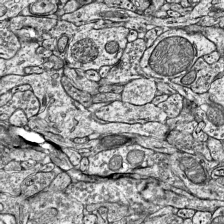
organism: Mouse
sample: Visual Cortex